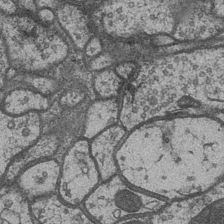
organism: Drosophila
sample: Optic medulla